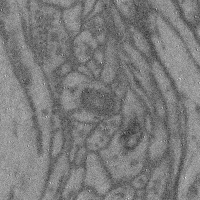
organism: Mouse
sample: Cerebral cortex